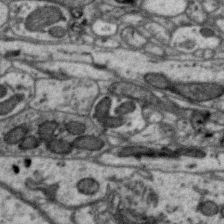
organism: Zebra finch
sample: Brain